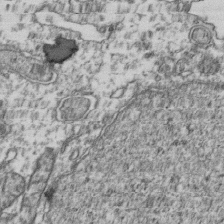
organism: Human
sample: Activated Jurkat CD4+ T cells